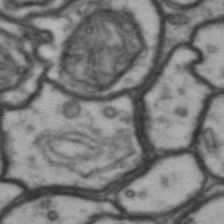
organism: Drosophila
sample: Brain